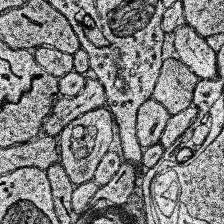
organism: Human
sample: Temporal Lobe